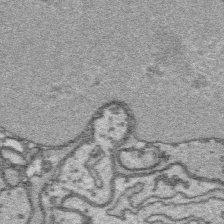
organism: Platynereis dumerilii